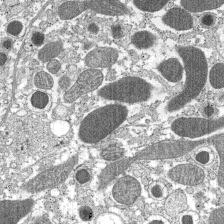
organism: C57BL Mouse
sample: Pancreatic islet